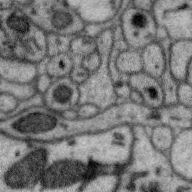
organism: Zebra finch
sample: Brain